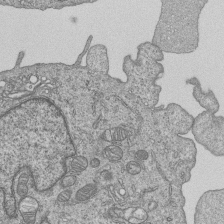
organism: Human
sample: MDA-MB-231 cells